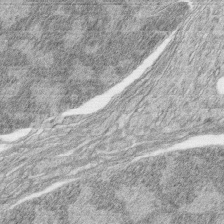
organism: Zebrafish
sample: synaptic ribbons in rod cells and cone cells